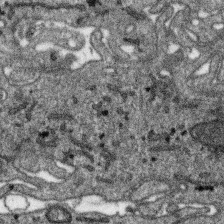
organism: Human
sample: Lung epithelial cells infected with SARS-CoV-2